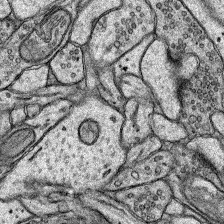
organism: Rat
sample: Hippocampus